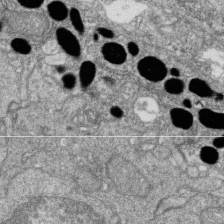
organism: Zebrafish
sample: Cilia; retinal pigment epithelium